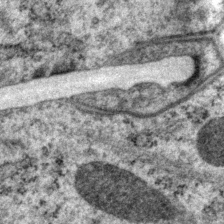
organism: P. pacificus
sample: Pharynx